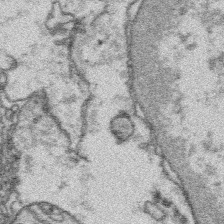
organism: Platynereis dumerilii